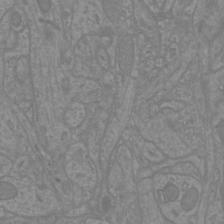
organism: Mouse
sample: Cortical neurons